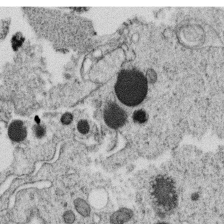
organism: C. elegans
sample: C. elegans oocyte; sperm cells